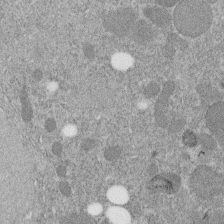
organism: C. elegans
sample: C. elegans embryo early stage